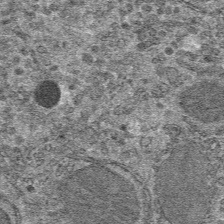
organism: Mouse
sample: Mouse hepatocytes